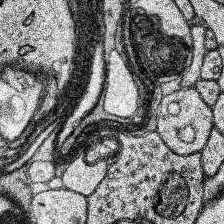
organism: Human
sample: Temporal Lobe